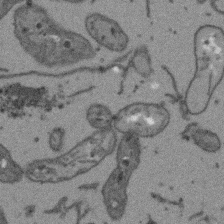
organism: Arabidopsis thaliana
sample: Root tip